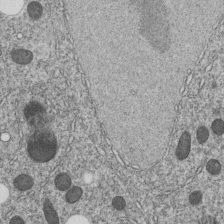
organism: C. elegans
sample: C. elegans embryo early stage